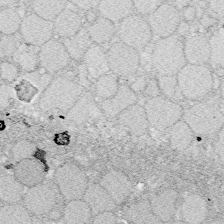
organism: Zebrafish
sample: Whole-Brain